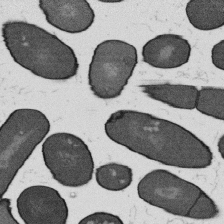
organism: B. subtilis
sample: Bacterial spore